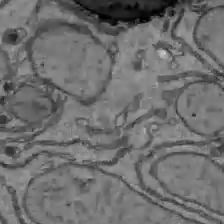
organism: C57BL Mouse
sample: Liver